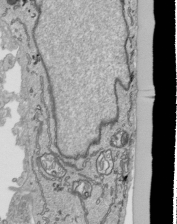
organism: Human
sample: Mitochondria in HCT116 cells